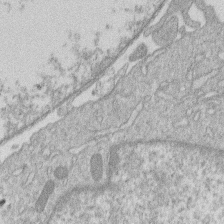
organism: Human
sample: Macrophage cells